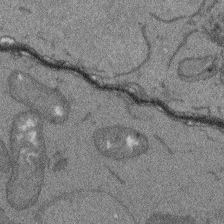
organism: Arabidopsis thaliana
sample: Root tip